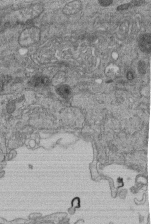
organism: Human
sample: Retinal organoid Rod and Cone cells